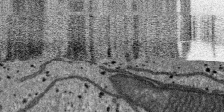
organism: Human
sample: Lung epithelial cells, uninfected (mock) control